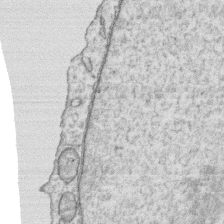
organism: Human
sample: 1205lu cells